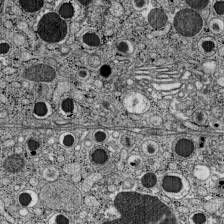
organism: C57BL Mouse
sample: Pancreatic islet